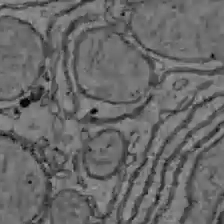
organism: C57BL Mouse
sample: Liver